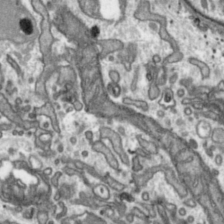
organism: Toxoplasma gondii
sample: Parasites in a vacuole inside a host cell